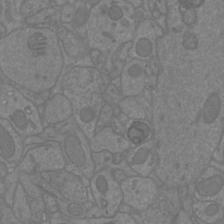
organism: Mouse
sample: Cortical neurons